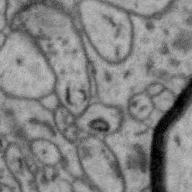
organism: Zebra finch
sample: Brain